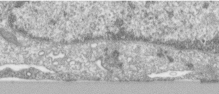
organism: Human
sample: Centriole in RPE cells